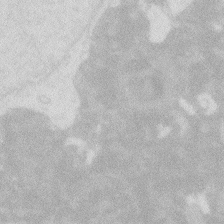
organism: Zebrafish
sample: Macrophage